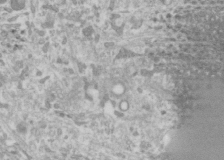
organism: Human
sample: Cilia; basal body in RPE cells